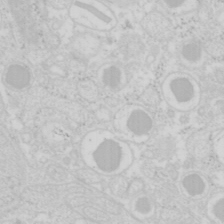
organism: Mouse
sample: Pancreas